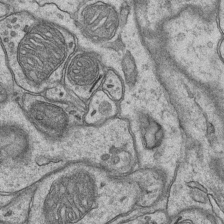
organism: Mouse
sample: CA1 Hippocampus